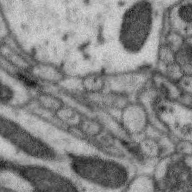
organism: Zebra finch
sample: Brain